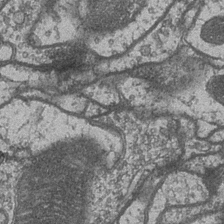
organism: Drosophila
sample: Optic medulla